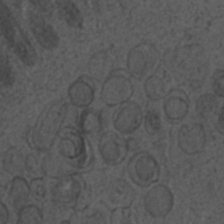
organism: C. elegans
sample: C. elegans embryo